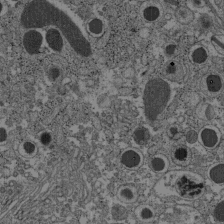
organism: C57BL Mouse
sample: Pancreatic islet